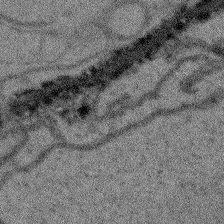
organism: Arabidopsis thaliana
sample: Root tip